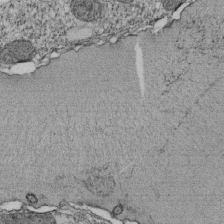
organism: Tetrahymena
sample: Cilia in tetrahymena